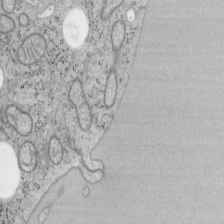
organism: Mouse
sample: OT-I killer T cells with ID8 ovarian cancer cells